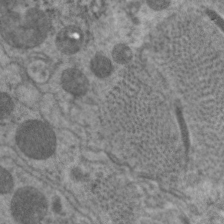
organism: C. elegans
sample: Pharynx